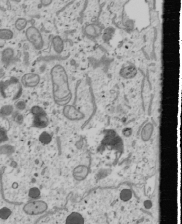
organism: Human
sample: Mitochondria in U2OS cells